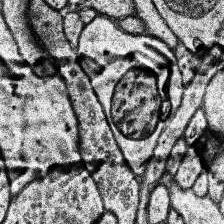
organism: Human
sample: Temporal Lobe